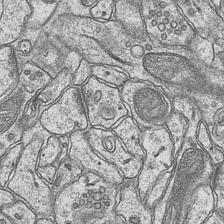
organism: Mouse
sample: CA1 Hippocampus